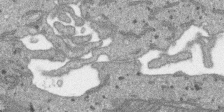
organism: Human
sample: Lung epithelial cells infected with SARS-CoV-2